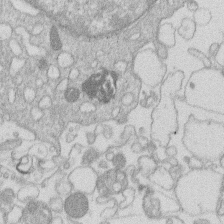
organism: Human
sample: Macrophage cells